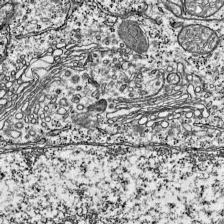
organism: Mouse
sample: Visual Cortex